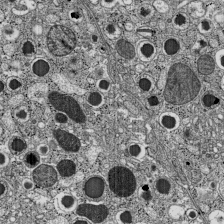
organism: C57BL Mouse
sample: Pancreatic islet